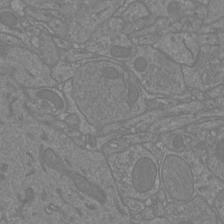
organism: Mouse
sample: Cortical neurons